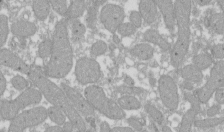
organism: Xenopus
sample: Cilia; centrioles in frog embryo cells